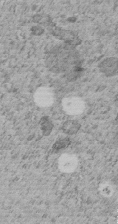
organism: C. elegans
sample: C. elegans embryo early stage